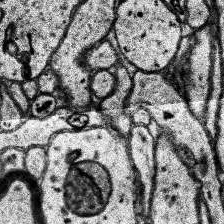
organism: Human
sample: Temporal Lobe